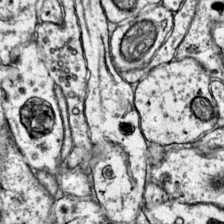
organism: Mouse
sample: Primary visual cortex